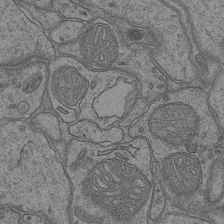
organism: Mouse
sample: CA1 Hippocampus